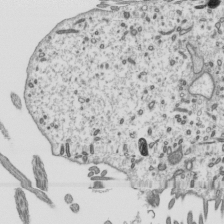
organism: Mouse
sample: Mouse epididymis efferent ductule cilia